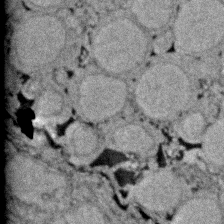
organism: Zebrafish